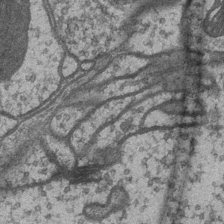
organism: Drosophila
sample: Optic medulla